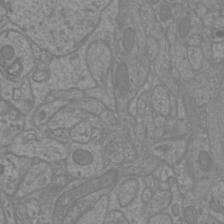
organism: Mouse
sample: Cortical neurons